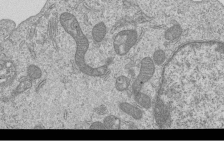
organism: Human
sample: MDA-MB-231 cells